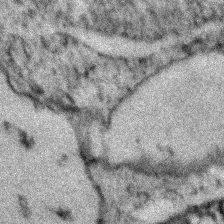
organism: Zebrafish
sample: Zebrafish embryo